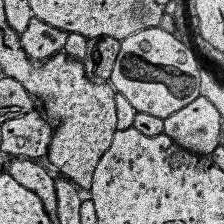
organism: Human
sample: Temporal Lobe